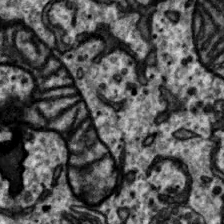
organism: Human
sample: HeLa cells